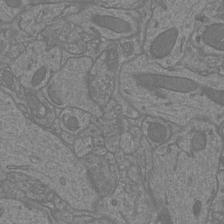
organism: Mouse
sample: Cortical neurons